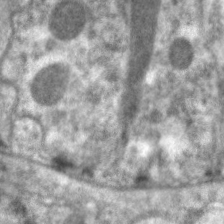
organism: C. elegans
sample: Pharynx